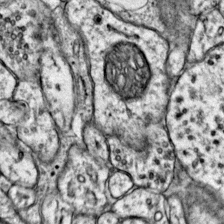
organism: Mouse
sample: Primary visual cortex